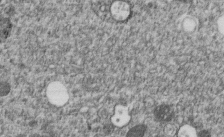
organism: C. elegans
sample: C. elegans embryo early stage